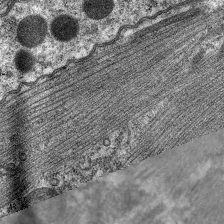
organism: C. elegans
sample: Pharynx